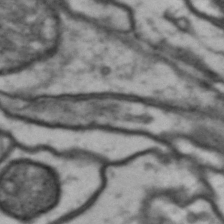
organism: Drosophila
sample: Brain